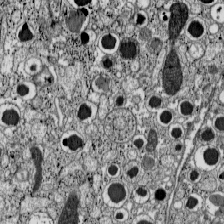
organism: C57BL Mouse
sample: Pancreatic islet